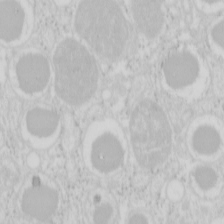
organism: Mouse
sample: Pancreas